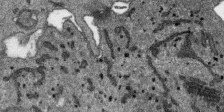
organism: Human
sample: Lung epithelial cells, uninfected (mock) control